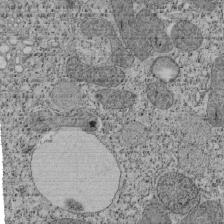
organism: Tetrahymena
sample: Cilia in tetrahymena